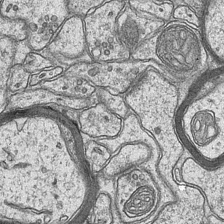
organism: Mouse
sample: CA1 Hippocampus